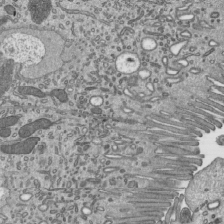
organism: Mouse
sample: Mouse epididymis efferent ductule cilia